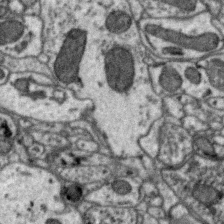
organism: Zebra finch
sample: Brain